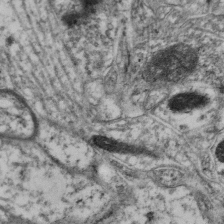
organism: Mouse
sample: Neocortex